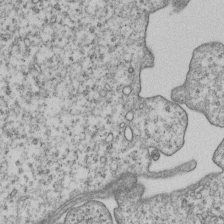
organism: Human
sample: MDA-MB-231 cells